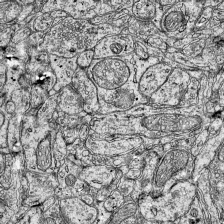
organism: Mouse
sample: Visual Cortex